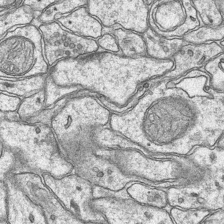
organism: Mouse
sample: CA1 Hippocampus